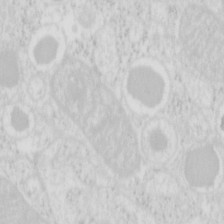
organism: Mouse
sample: Pancreas